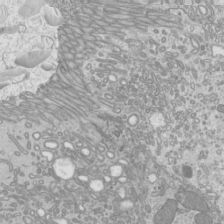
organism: Mouse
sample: Cilia; mouse epididymis